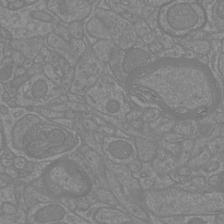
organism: Mouse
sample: Cortical neurons